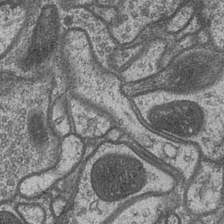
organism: Drosophila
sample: Optic medulla